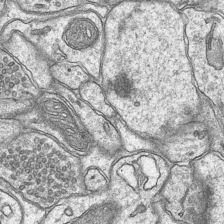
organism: Mouse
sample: CA1 Hippocampus